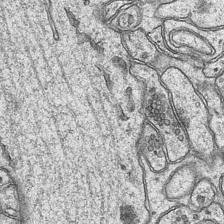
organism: Mouse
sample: CA1 Hippocampus